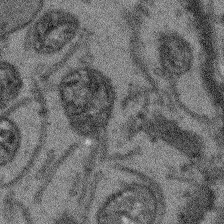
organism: Arabidopsis thaliana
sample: Root tip